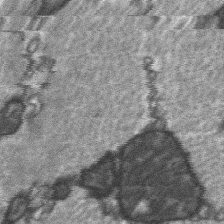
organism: C57BL Mouse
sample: Soleus